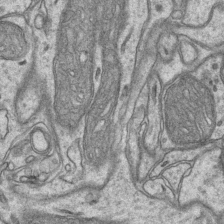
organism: Mouse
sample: CA1 Hippocampus